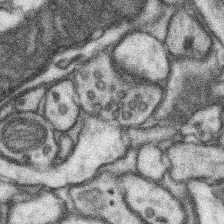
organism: Mouse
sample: Somatosensory cortex neuropil